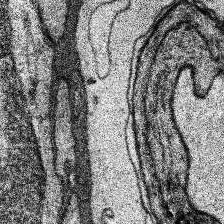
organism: Human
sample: Temporal Lobe